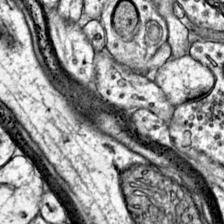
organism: Mouse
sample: Primary visual cortex